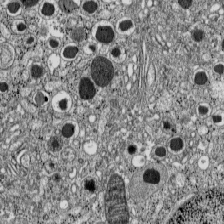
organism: C57BL Mouse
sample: Pancreatic islet